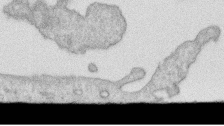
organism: Human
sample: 1205lu cells